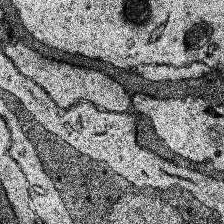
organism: Human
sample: Temporal Lobe